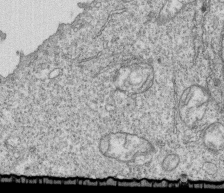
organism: Human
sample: HeLa cell HIV synapse